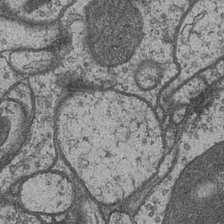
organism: Drosophila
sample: Optic medulla